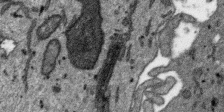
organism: Human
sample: Lung epithelial cells, uninfected (mock) control